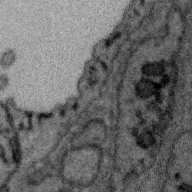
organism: Zebra finch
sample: Brain